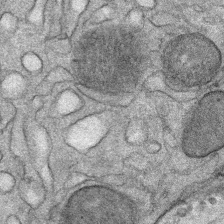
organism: Mouse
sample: Mouse Salivary gland